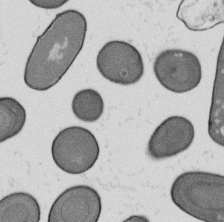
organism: B. subtilis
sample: Bacterial spore